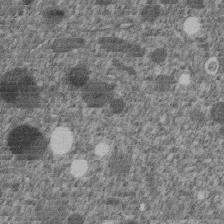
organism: C. elegans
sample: C. elegans embryo early stage